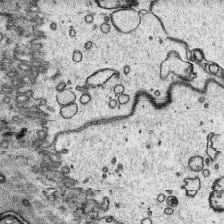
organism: Platynereis dumerilii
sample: Parapodia